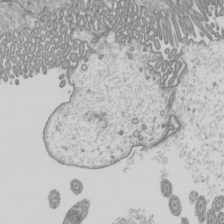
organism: Mouse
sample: Cilia; mouse epididymis